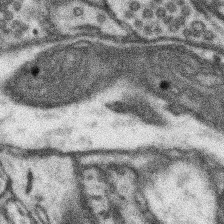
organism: Mouse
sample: Somatosensory cortex neuropil